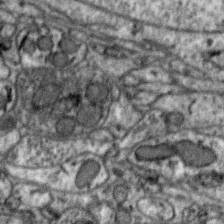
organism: Zebra finch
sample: Brain